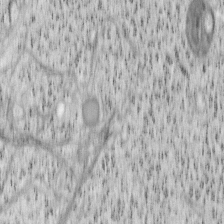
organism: Human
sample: HeLa cells